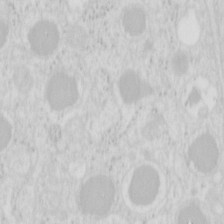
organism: Mouse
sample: Pancreas